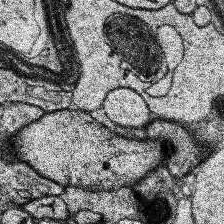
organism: Human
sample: Temporal Lobe